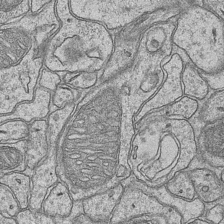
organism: Mouse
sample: CA1 Hippocampus